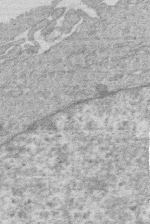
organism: Human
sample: Macrophage cells